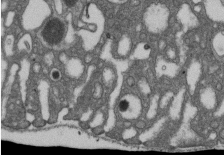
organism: Drosophila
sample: Nephrocyte